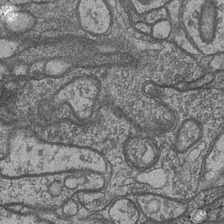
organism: Drosophila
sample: Optic medulla